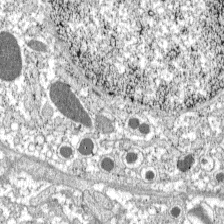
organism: C57BL Mouse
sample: Pancreatic islet